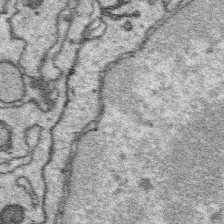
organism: Platynereis dumerilii